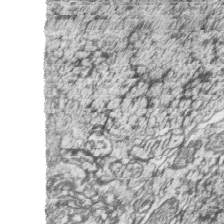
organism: Zebrafish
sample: synaptic ribbons in rod cells and cone cells